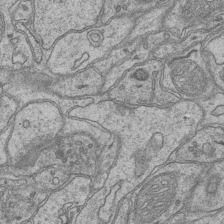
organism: Mouse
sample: CA1 Hippocampus